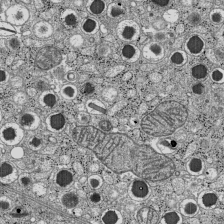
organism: C57BL Mouse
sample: Pancreatic islet